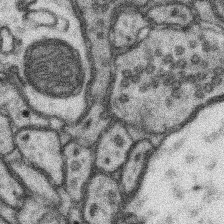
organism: Mouse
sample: Somatosensory cortex neuropil